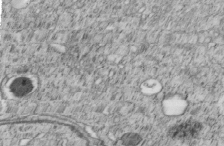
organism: C. elegans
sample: C. elegans embryo early stage